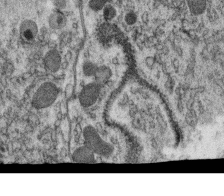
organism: C. elegans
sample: C. elegans oocyte; sperm cells